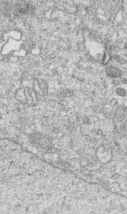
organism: Human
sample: HeLa cell HIV synapse